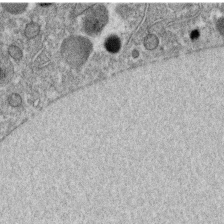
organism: C. elegans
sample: C. elegans oocyte; sperm cells